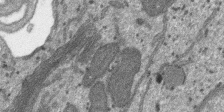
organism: Human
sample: Lung epithelial cells infected with SARS-CoV-2